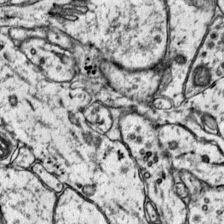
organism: Mouse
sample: Primary visual cortex